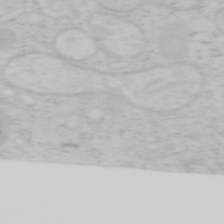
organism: Mouse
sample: OT-I killer T cells with ID8 ovarian cancer cells